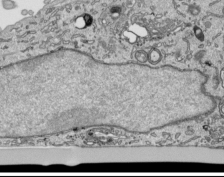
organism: Human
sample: Mitochondria in HCT116 cells